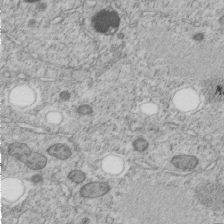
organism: C. elegans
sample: C. elegans embryo early stage